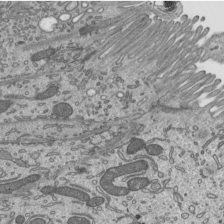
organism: Mouse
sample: Mouse epididymis efferent ductule cilia